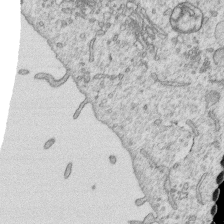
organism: Human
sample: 1205lu cells